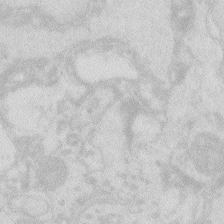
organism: Zebrafish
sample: Macrophage